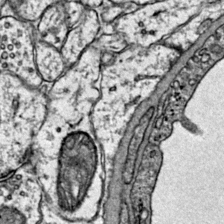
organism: Mouse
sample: Primary visual cortex